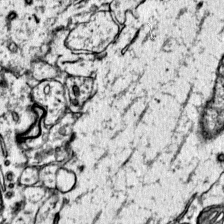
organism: Mouse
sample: Primary visual cortex